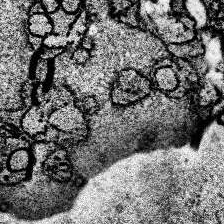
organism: Human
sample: Temporal Lobe